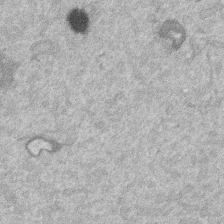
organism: Mouse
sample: Dividing mouse embryo 1 cell stage